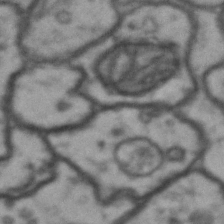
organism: Drosophila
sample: Brain